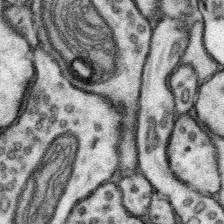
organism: Mouse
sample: Somatosensory cortex neuropil